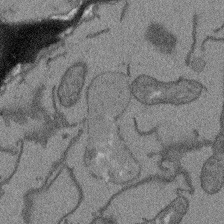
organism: Arabidopsis thaliana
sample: Root tip